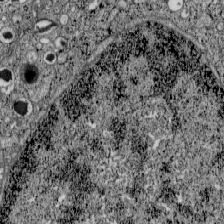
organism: C57BL Mouse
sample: Pancreatic islet